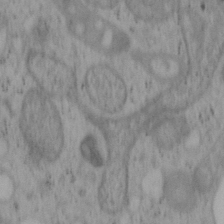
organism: Mouse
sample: OT-I killer T cells with ID8 ovarian cancer cells